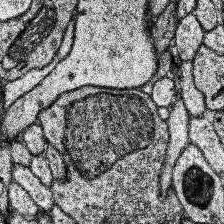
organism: Human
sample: Temporal Lobe